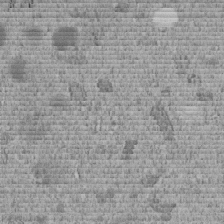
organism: C. elegans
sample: C. elegans embryo early stage